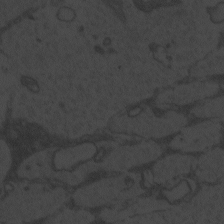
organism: Zebrafish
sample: Macrophage infected with Toxoplasma gondii